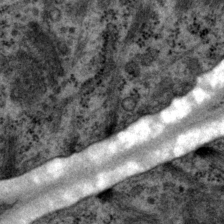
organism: P. pacificus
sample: Pharynx